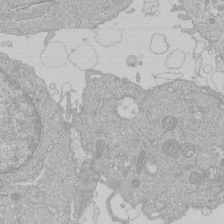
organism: Human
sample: Macrophage cells